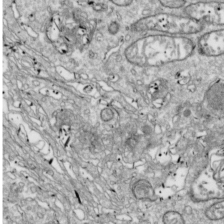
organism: Drosophila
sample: Cell division; meiosis; drosophila spermatocytes